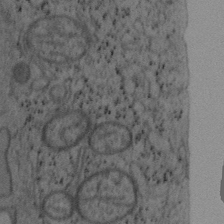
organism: Human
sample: HeLa cells